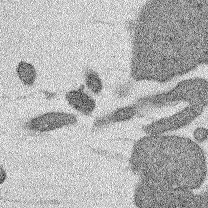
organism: Human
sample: HeLa cells